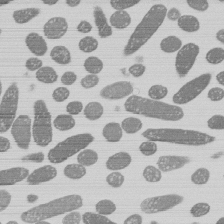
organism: E. coli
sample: Bacterial nucleoid